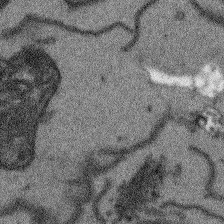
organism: Arabidopsis thaliana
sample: Root tip